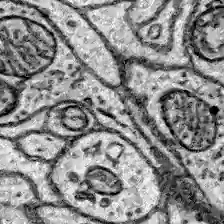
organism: Zebrafish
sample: Brain